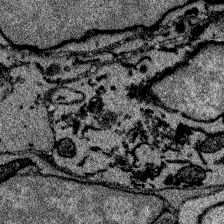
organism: Zebrafish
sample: Larval olfactory bulb